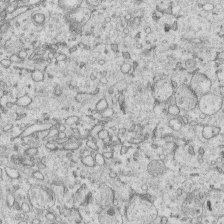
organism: Human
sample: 1205lu cells